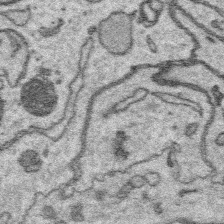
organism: Platynereis dumerilii